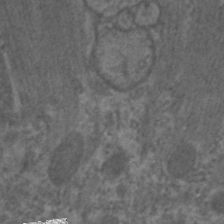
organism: C. elegans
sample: Pharynx